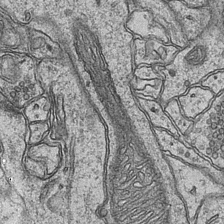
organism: Mouse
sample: CA1 Hippocampus